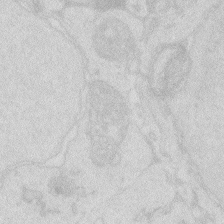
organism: Zebrafish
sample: Macrophage